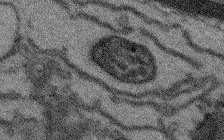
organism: Arabidopsis thaliana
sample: Root tip